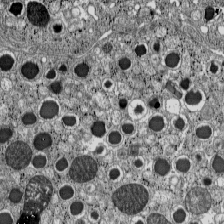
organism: C57BL Mouse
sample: Pancreatic islet